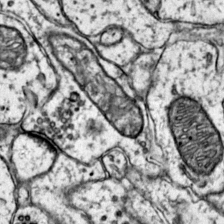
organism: Mouse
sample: Primary visual cortex